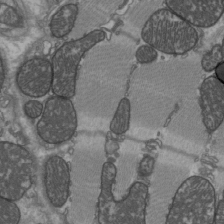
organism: C57BL Mouse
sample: Heart